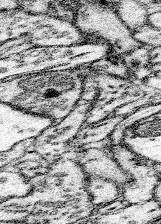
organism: Mouse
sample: Somatosensory cortex neuropil